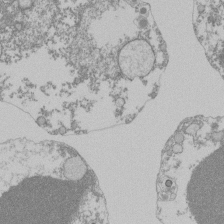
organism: Mouse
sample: Activated Pmel transgenic CD8+ T Cells